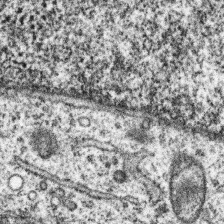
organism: Human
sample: HeLa cells